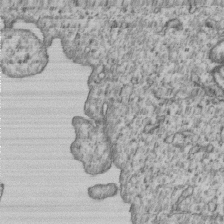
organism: Human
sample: MDA-MB-231 cells